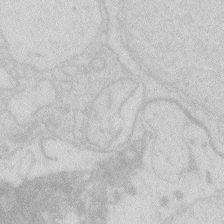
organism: Zebrafish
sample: Macrophage